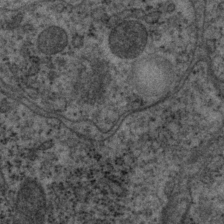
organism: P. pacificus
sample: Pharynx